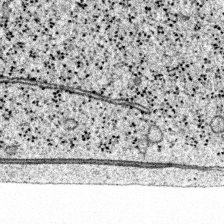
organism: Human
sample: HeLa cells